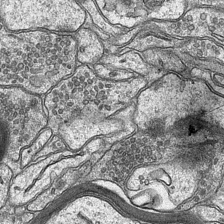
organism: Mouse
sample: CA1 Hippocampus